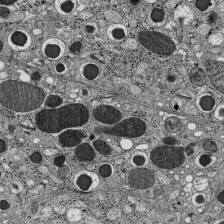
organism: C57BL Mouse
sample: Pancreatic islet